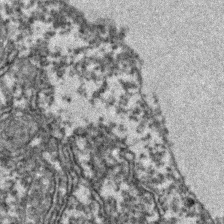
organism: Zebrafish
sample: Zebrafish embryo